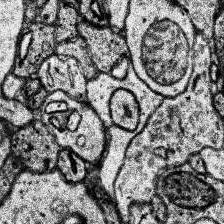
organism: Human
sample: Temporal Lobe